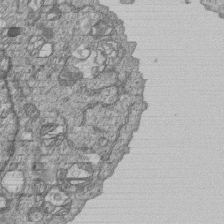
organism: Human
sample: MDA-MB-231 cells